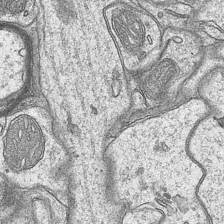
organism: Mouse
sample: CA1 Hippocampus